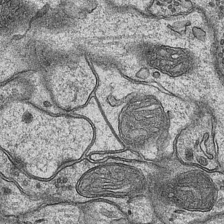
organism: Mouse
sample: CA1 Hippocampus